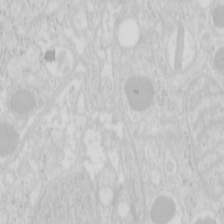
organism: Mouse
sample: Pancreas